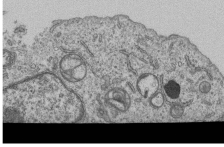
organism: Human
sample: MDA-MB-231 cells